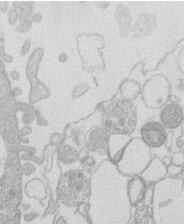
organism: Human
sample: Macrophage cells